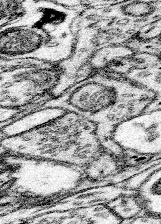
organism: Mouse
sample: Somatosensory cortex neuropil